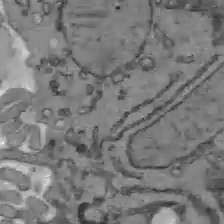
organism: C57BL Mouse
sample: Liver